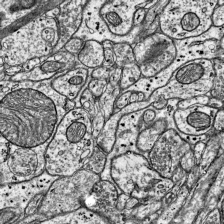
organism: Mouse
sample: Visual Cortex